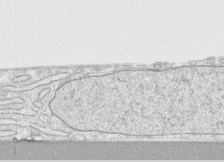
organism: Human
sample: CRL-1474